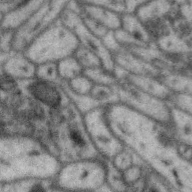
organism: Zebra finch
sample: Brain